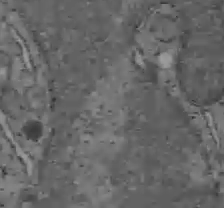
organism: C57BL Mouse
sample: Liver